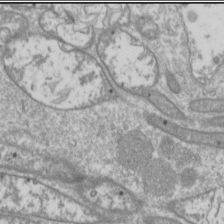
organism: Drosophila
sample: Cell division; meiosis; drosophila spermatocytes